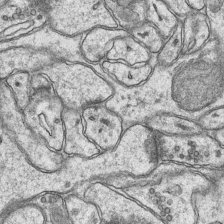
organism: Mouse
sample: CA1 Hippocampus